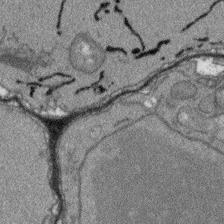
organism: Arabidopsis thaliana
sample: Root tip